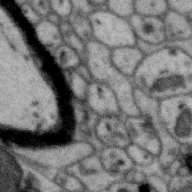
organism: Zebra finch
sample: Brain